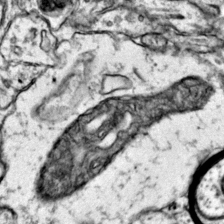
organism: Mouse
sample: Primary visual cortex